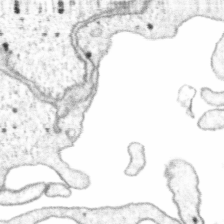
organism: Human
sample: HeLa cells